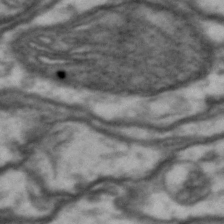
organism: Drosophila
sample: Brain